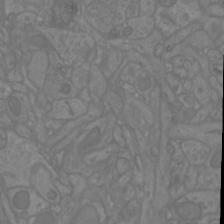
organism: Mouse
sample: Cortical neurons